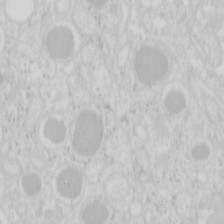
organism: Mouse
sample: Pancreas